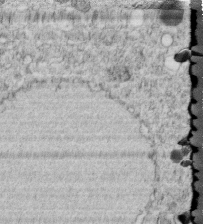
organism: C. elegans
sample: C. elegans embryo early stage